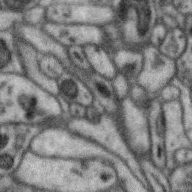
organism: Zebra finch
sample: Brain